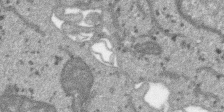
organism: Human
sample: Lung epithelial cells infected with SARS-CoV-2